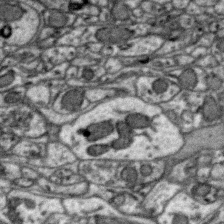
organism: Zebra finch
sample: Brain